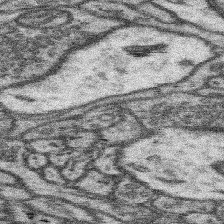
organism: Mouse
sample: Somatosensory cortex neuropil